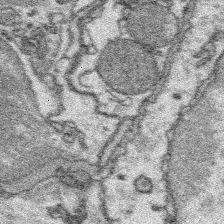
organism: Platynereis dumerilii